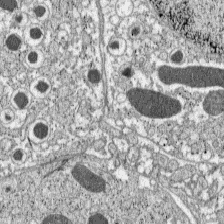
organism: C57BL Mouse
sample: Pancreatic islet